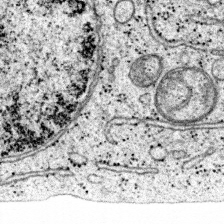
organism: Human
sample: HeLa cells